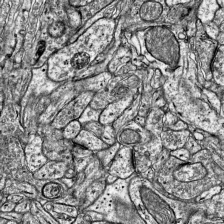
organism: Mouse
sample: Visual Cortex